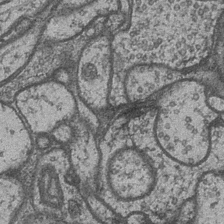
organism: Drosophila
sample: Optic medulla